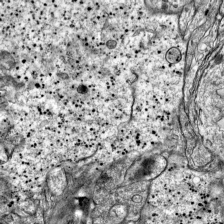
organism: Mouse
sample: Visual Cortex